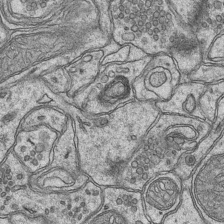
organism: Mouse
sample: CA1 Hippocampus